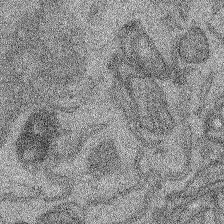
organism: Human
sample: HeLa cells